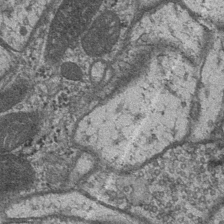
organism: Drosophila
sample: Optic medulla